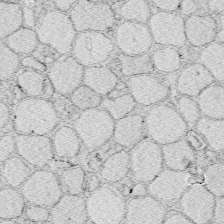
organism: Zebrafish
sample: Whole-Brain